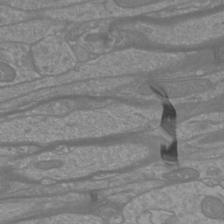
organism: Mouse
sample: Cortical neurons